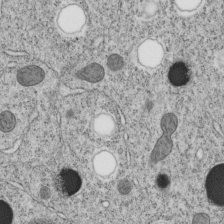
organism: C. elegans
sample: C. elegans embryo early stage